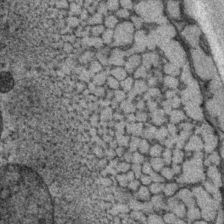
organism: P. pacificus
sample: Pharynx